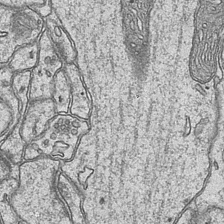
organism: Mouse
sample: CA1 Hippocampus